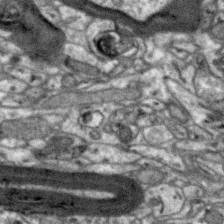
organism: Zebra finch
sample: Brain